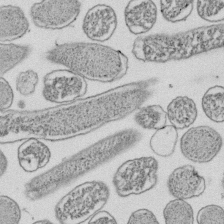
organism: E. coli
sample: Bacterial nucleoid